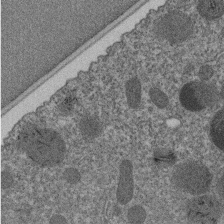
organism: C. elegans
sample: C. elegans embryo early stage